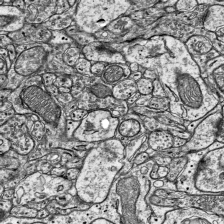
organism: Mouse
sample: Visual Cortex